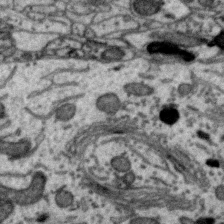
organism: Zebra finch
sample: Brain